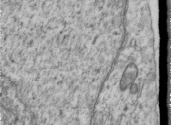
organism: Human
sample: Centriole in RPE cells